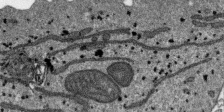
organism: Human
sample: Lung epithelial cells, uninfected (mock) control